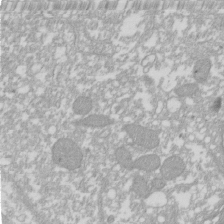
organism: Xenopus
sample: Cilia; centrioles in frog embryo cells